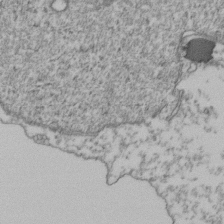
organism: Human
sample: Activated Jurkat CD4+ T cells